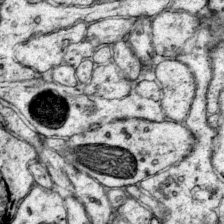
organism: Mouse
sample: Primary visual cortex